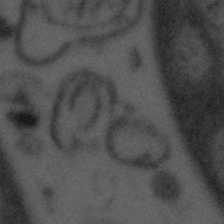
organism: Tuwongella immobilis